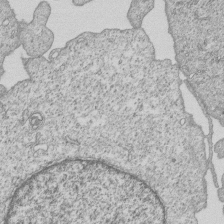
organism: Human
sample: MDA-MB-231 cells